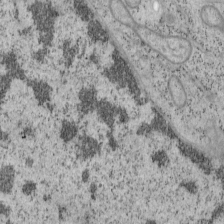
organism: Mouse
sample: OT-I killer T cells with ID8 ovarian cancer cells